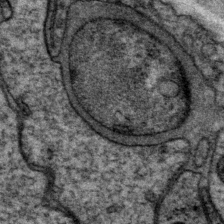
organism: P. pacificus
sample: Pharynx